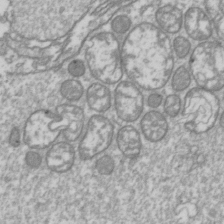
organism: Drosophila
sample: Cell division; meiosis; drosophila spermatocytes